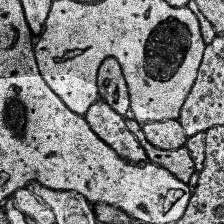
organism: Human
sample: Temporal Lobe